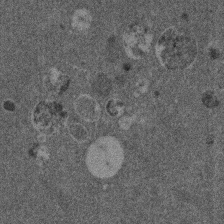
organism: Mouse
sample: Dividing mouse embryo 1 cell stage